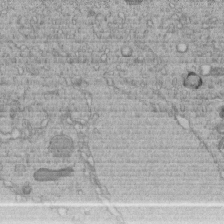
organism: C. elegans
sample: C. elegans embryo early stage